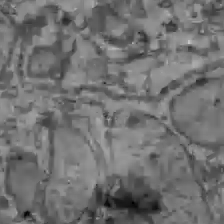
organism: C57BL Mouse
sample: Liver